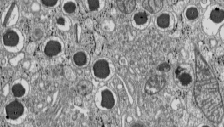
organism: C57BL Mouse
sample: Pancreatic islet